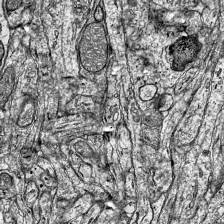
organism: Mouse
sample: Visual Cortex